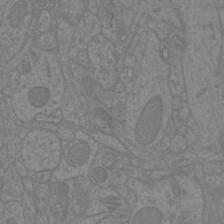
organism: Mouse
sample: Cortical neurons